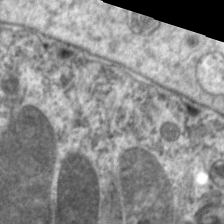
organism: C. elegans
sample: Pharynx